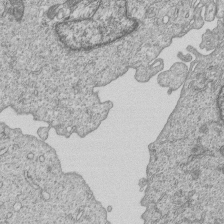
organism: Human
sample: MDA-MB-231 cells